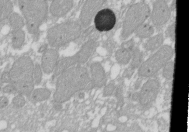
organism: Xenopus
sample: Cilia; centrioles in frog embryo cells